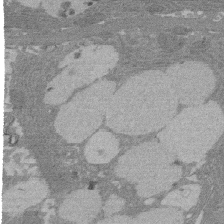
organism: Rat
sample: Salivary granule